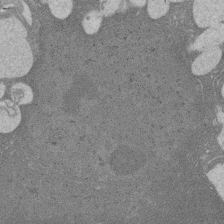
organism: Rat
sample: Salivary granule